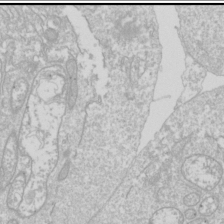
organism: Drosophila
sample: Cell division; meiosis; drosophila spermatocytes